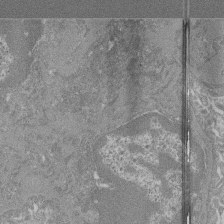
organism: Mouse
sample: Glomerulus